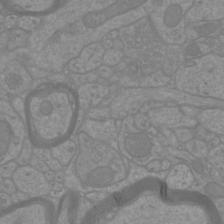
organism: Mouse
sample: Cortical neurons